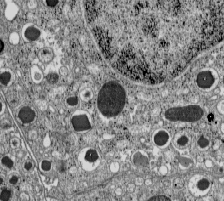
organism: C57BL Mouse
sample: Pancreatic islet